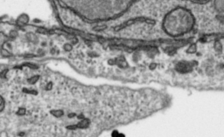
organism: Toxoplasma gondii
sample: Parasites in a vacuole inside a host cell